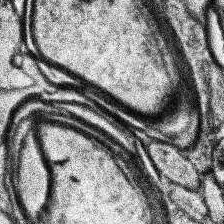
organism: Human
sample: Temporal Lobe